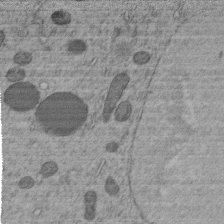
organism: C. elegans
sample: C. elegans embryo early stage